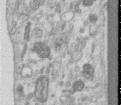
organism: Human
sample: Centriole in RPE cells